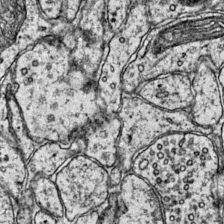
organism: Mouse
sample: Primary visual cortex